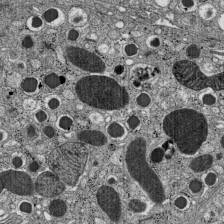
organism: C57BL Mouse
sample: Pancreatic islet